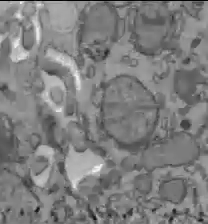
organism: C57BL Mouse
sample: Liver